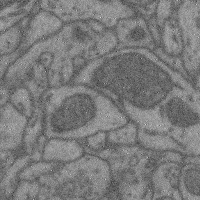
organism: Mouse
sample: Cerebral cortex